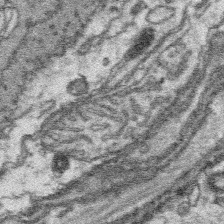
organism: Platynereis dumerilii